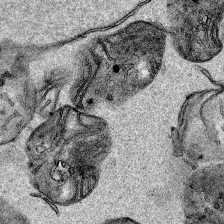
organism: Human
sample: Mitochondria in HCT116 cells